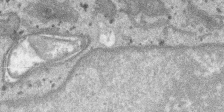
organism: Human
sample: Lung epithelial cells infected with SARS-CoV-2